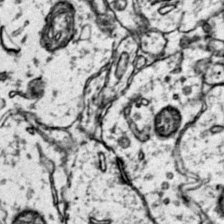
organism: Mouse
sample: Primary visual cortex